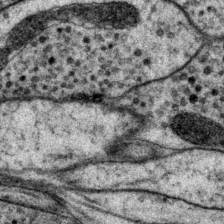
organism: P. pacificus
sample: Pharynx